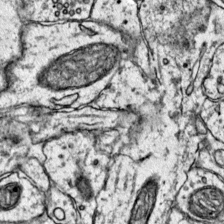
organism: Mouse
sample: Primary visual cortex